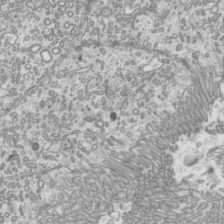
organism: Mouse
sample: Cilia; mouse epididymis